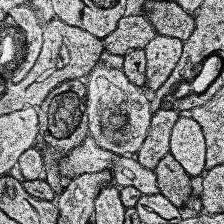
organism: Human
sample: Temporal Lobe